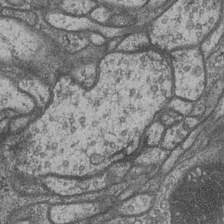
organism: Drosophila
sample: Optic medulla